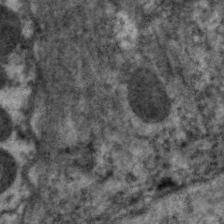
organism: C. elegans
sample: Pharynx